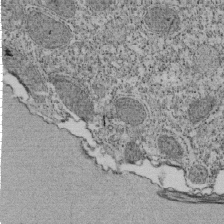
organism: Tetrahymena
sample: Cilia in tetrahymena